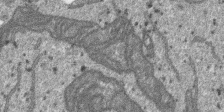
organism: Human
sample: Lung epithelial cells infected with SARS-CoV-2